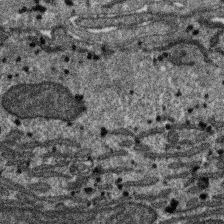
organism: Human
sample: Lung epithelial cells infected with SARS-CoV-2